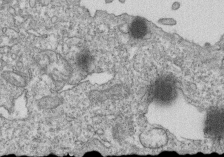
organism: Human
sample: HeLa cell HIV synapse